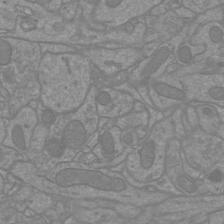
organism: Mouse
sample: Cortical neurons